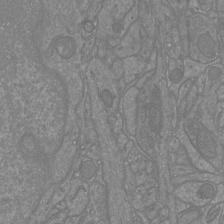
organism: Mouse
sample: Cortical neurons